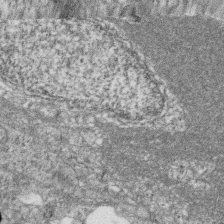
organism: Zebrafish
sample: Cilia; retinal pigment epithelium